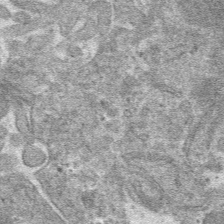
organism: Mouse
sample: Mouse hepatocytes